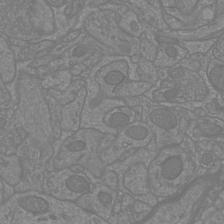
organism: Mouse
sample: Cortical neurons